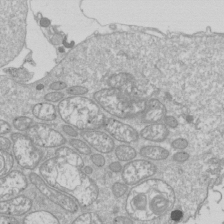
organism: Drosophila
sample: Cell division; meiosis; drosophila spermatocytes